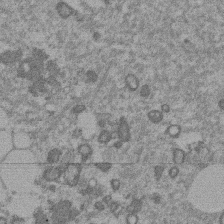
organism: Mouse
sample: Dividing mouse embryo 1 cell stage